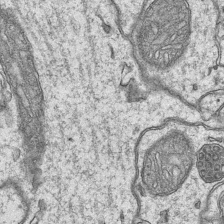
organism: Mouse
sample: CA1 Hippocampus